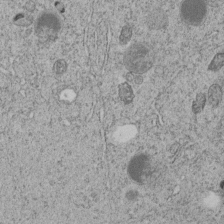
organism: C. elegans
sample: C. elegans embryo early stage